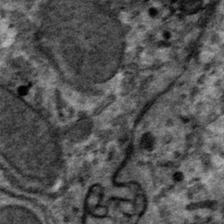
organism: Mouse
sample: Mouse hepatocytes